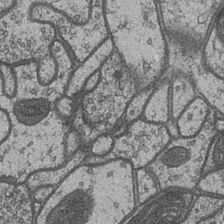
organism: Drosophila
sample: Optic medulla